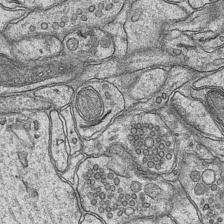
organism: Mouse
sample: CA1 Hippocampus